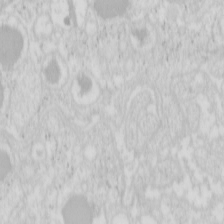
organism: Mouse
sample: Pancreas